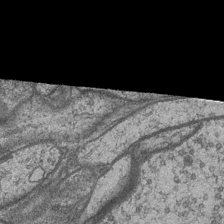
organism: Drosophila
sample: Optic medulla